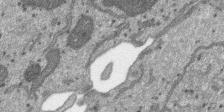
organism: Human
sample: Lung epithelial cells infected with SARS-CoV-2